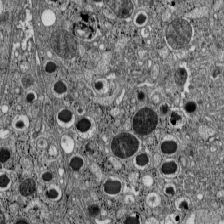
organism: C57BL Mouse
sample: Pancreatic islet